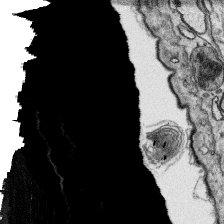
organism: Platynereis dumerilii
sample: Parapodia